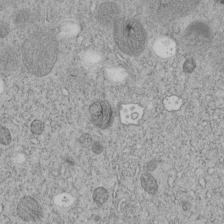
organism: C. elegans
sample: C. elegans embryo early stage